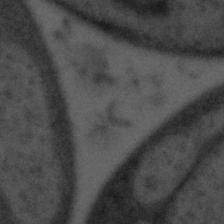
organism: Tuwongella immobilis